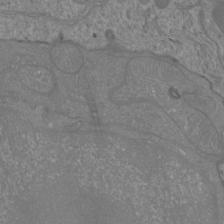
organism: Mouse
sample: Cortical neurons